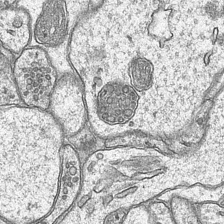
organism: Mouse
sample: CA1 Hippocampus